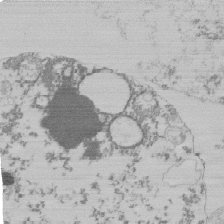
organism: Mouse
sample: Activated Pmel transgenic CD8+ T Cells